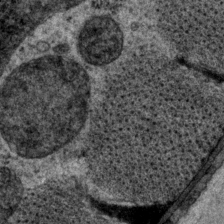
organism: P. pacificus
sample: Pharynx